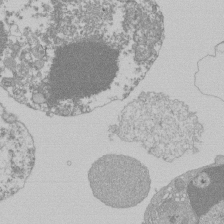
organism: Mouse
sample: Activated Pmel transgenic CD8+ T Cells